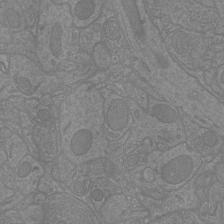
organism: Mouse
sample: Cortical neurons